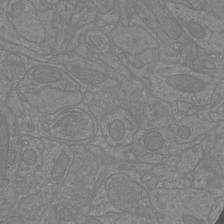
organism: Mouse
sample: Cortical neurons